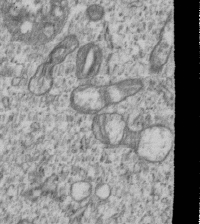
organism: Human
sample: MDA-MB-231 cells